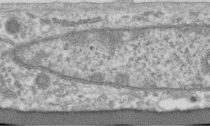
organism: Human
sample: Centriole in RPE cells